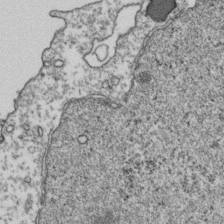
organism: Human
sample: Activated Jurkat CD4+ T cells